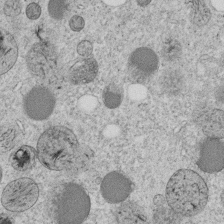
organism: C. elegans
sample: C. elegans embryo early stage